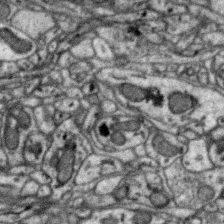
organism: Zebra finch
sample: Brain